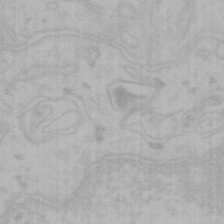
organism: Mouse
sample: Choroid plexus